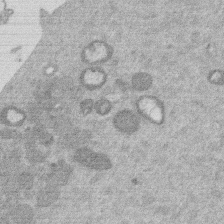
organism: Mouse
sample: Dividing mouse embryo 1 cell stage